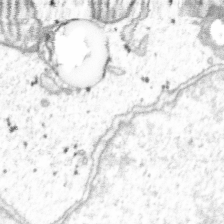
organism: Human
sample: HeLa cells